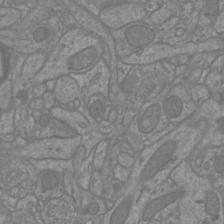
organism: Mouse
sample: Cortical neurons